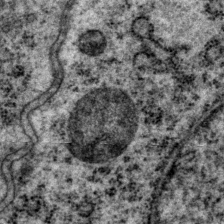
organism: P. pacificus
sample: Pharynx